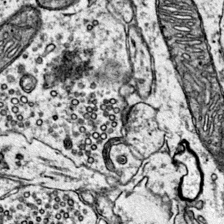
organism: Mouse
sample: Primary visual cortex